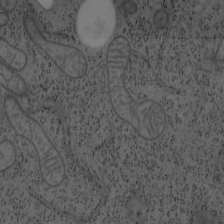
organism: Mouse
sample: OT-I killer T cells with ID8 ovarian cancer cells